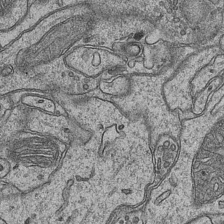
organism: Mouse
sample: CA1 Hippocampus